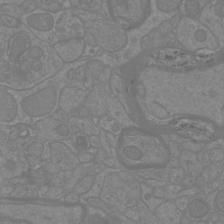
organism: Mouse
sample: Cortical neurons